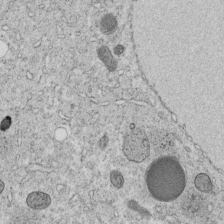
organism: C. elegans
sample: C. elegans embryo early stage